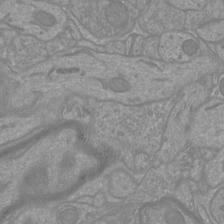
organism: Mouse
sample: Cortical neurons